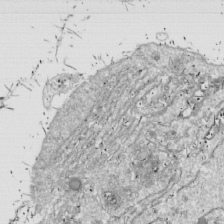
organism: Drosophila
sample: Cell division; meiosis; drosophila spermatocytes